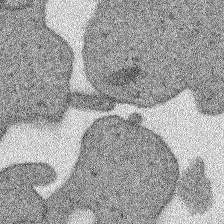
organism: Human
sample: HeLa cells